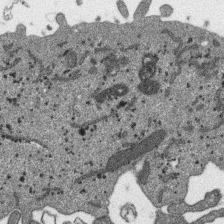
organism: Human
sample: Lung epithelial cells infected with SARS-CoV-2